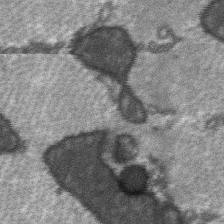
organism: C57BL Mouse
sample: Soleus